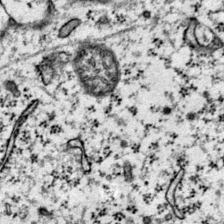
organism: Mouse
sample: Primary visual cortex